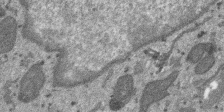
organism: Human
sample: Lung epithelial cells infected with SARS-CoV-2